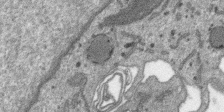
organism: Human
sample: Lung epithelial cells infected with SARS-CoV-2